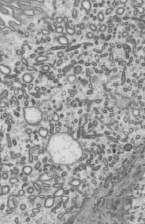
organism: Mouse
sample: Mouse epididymis efferent ductule cilia